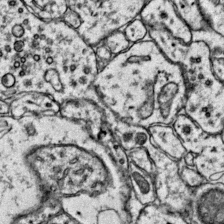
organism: Mouse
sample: Primary visual cortex